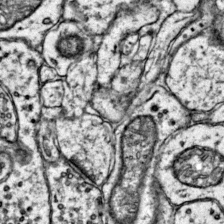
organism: Mouse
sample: Primary visual cortex